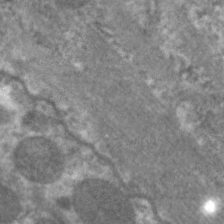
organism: C. elegans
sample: Pharynx